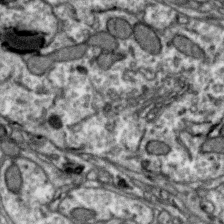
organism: Zebra finch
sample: Brain